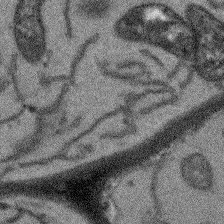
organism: Arabidopsis thaliana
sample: Root tip